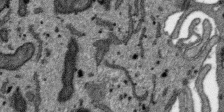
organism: Human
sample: Lung epithelial cells, uninfected (mock) control